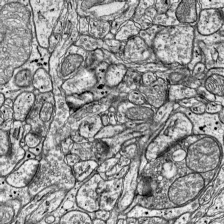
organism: Mouse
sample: Visual Cortex